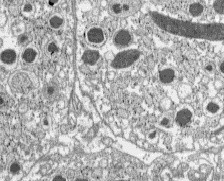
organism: C57BL Mouse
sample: Pancreatic islet